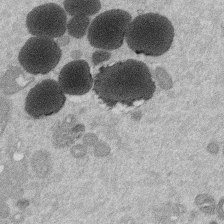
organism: Mouse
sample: Dividing mouse embryo 1 cell stage